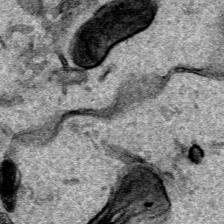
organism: Human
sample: Mitochondria in HCT116 cells